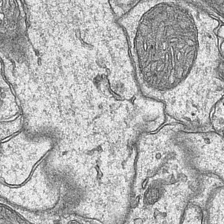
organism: Mouse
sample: CA1 Hippocampus